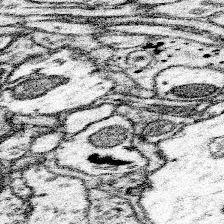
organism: Mouse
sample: Somatosensory cortex neuropil